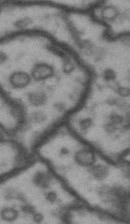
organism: Drosophila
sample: Brain